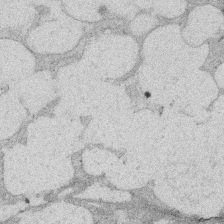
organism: Rat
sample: Salivary granule